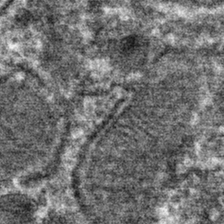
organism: Mouse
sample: Mouse hepatocytes